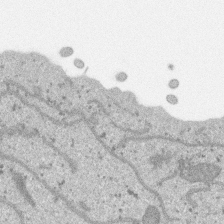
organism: Human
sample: Lung epithelial cells infected with SARS-CoV-2